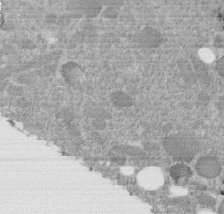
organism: C. elegans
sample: C. elegans embryo early stage